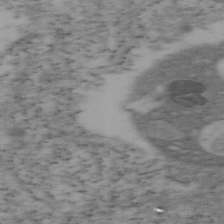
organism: Mouse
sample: OT-I killer T cells with ID8 ovarian cancer cells